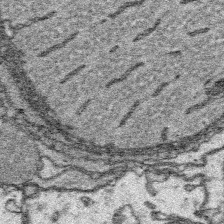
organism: Platynereis dumerilii